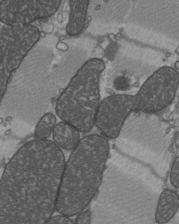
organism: C57BL Mouse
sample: Heart